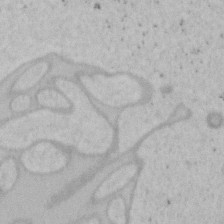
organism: Human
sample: HeLa cells